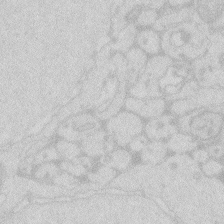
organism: Zebrafish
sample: Macrophage